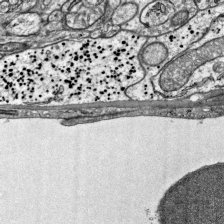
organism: Mouse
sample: Visual Cortex